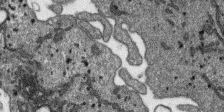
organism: Human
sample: Lung epithelial cells infected with SARS-CoV-2